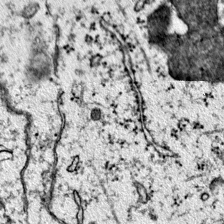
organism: Mouse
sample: Primary visual cortex